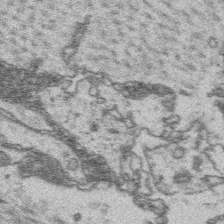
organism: Platynereis dumerilii